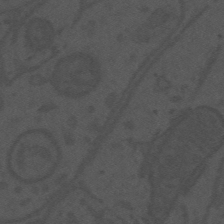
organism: Mouse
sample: Suprachiasmatic nucleus